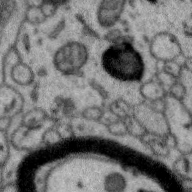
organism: Zebra finch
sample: Brain